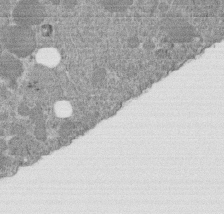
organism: C. elegans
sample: C. elegans embryo early stage